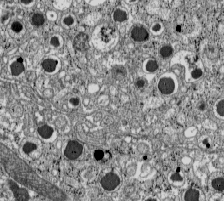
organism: C57BL Mouse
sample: Pancreatic islet